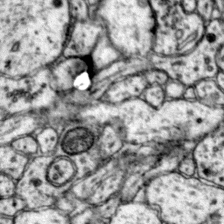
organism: Mouse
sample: Primary visual cortex